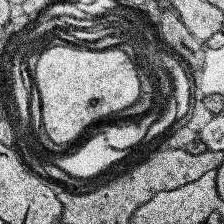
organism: Human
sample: Temporal Lobe